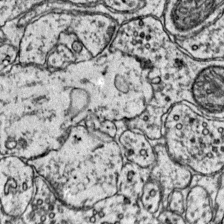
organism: Mouse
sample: Primary visual cortex